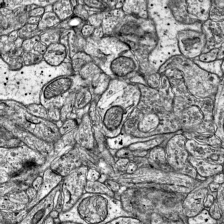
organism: Mouse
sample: Visual Cortex